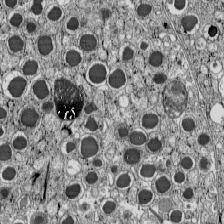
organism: C57BL Mouse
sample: Pancreatic islet